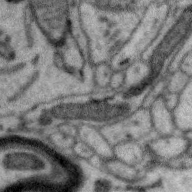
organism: Zebra finch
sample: Brain